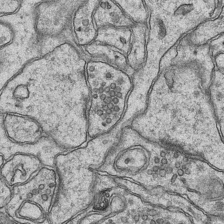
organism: Mouse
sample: CA1 Hippocampus